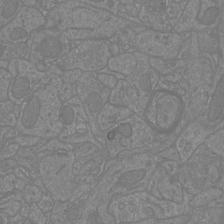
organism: Mouse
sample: Cortical neurons